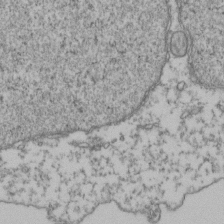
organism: Human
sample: Activated Jurkat CD4+ T cells